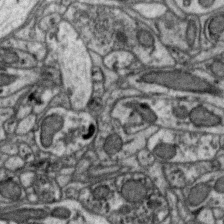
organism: Zebra finch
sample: Brain